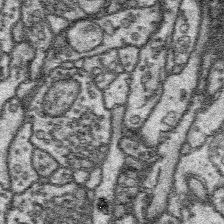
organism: Platynereis dumerilii